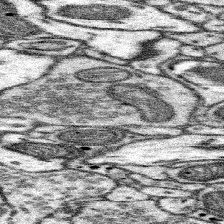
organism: Mouse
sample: Somatosensory cortex neuropil